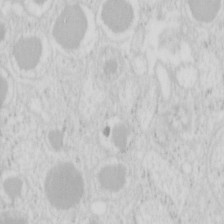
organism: Mouse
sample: Pancreas